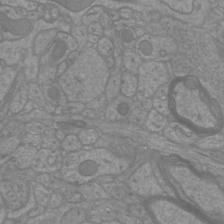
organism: Mouse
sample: Cortical neurons